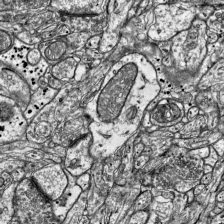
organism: Mouse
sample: Visual Cortex